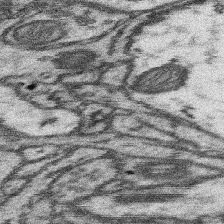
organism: Mouse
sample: Somatosensory cortex neuropil